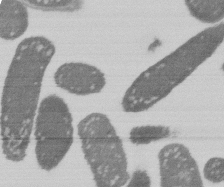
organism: E. coli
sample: Bacterial nucleoid